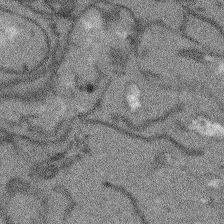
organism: Arabidopsis thaliana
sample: Root tip